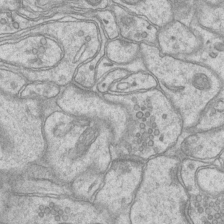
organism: Mouse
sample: CA1 Hippocampus